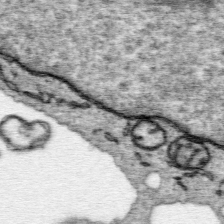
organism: Human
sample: HeLa cells